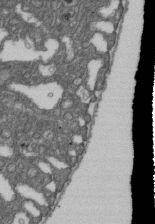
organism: Drosophila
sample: Nephrocyte